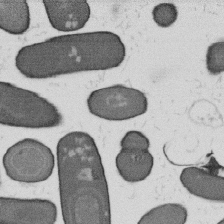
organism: B. subtilis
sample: Bacterial spore